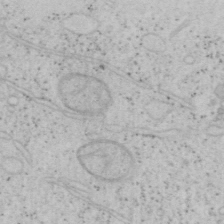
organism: Human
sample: HeLa cells